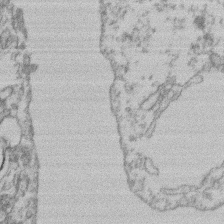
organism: Mouse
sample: T cell stromal cell synapse